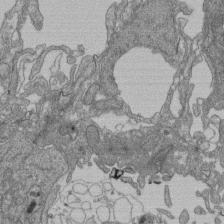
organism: Human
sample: Retinal organoid Rod and Cone cells